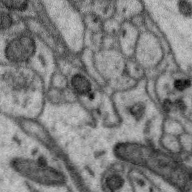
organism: Zebra finch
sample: Brain